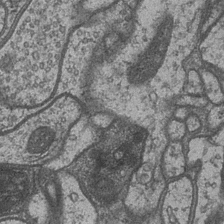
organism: Drosophila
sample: Optic medulla